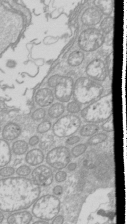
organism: Drosophila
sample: Cell division; meiosis; drosophila spermatocytes